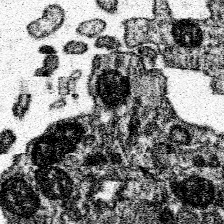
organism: Spongilla lacustris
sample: Neuroid cell